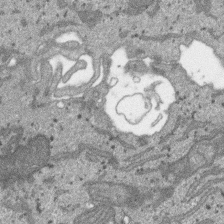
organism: Human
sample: Lung epithelial cells infected with SARS-CoV-2